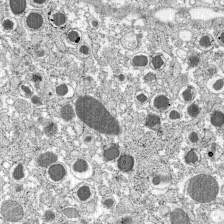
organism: C57BL Mouse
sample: Pancreatic islet